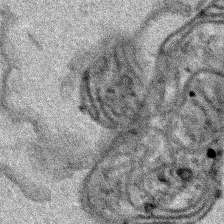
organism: Human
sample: Mitochondria in HCT116 cells